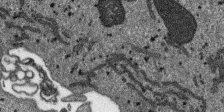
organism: Human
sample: Lung epithelial cells infected with SARS-CoV-2